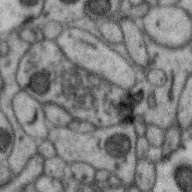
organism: Zebra finch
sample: Brain